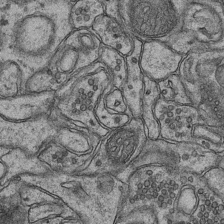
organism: Mouse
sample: CA1 Hippocampus